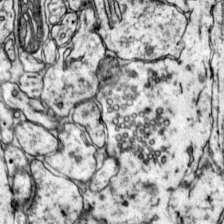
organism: Mouse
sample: Primary visual cortex